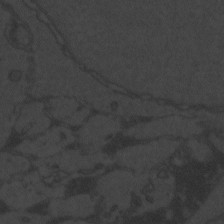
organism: Zebrafish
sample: Macrophage infected with Toxoplasma gondii